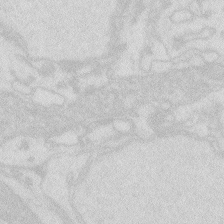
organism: Zebrafish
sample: Macrophage